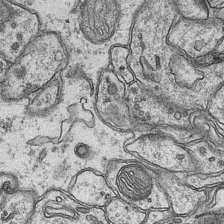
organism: Mouse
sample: CA1 Hippocampus